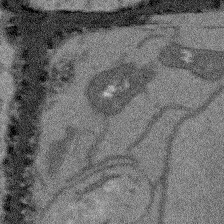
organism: Arabidopsis thaliana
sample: Root tip